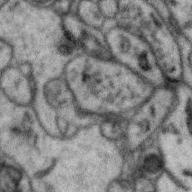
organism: Zebra finch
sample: Brain